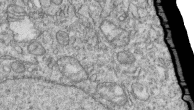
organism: Human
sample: HeLa cell HIV synapse